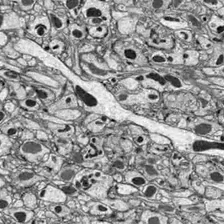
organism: Drosophila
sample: Optic lobe